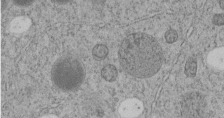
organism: C. elegans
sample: C. elegans embryo early stage